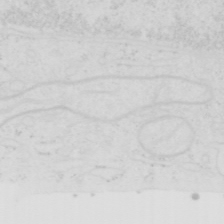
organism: Human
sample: SUM-159 cell